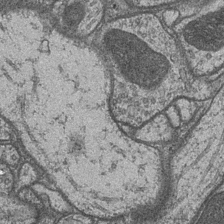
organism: Drosophila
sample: Optic medulla